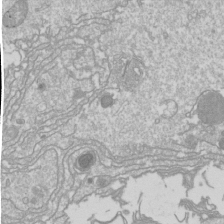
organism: Drosophila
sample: Cell division; meiosis; drosophila spermatocytes